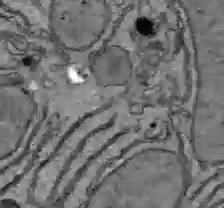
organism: C57BL Mouse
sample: Liver